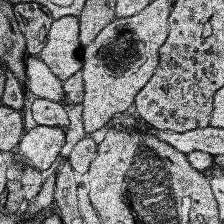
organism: Human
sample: Temporal Lobe